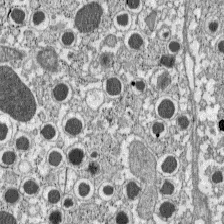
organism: C57BL Mouse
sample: Pancreatic islet